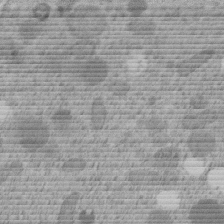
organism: C. elegans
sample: C. elegans embryo early stage